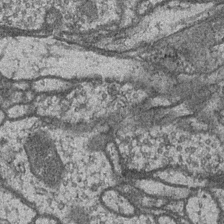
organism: Drosophila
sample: Optic medulla